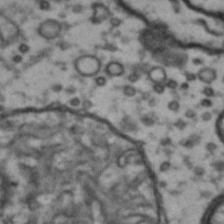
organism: Drosophila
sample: Brain